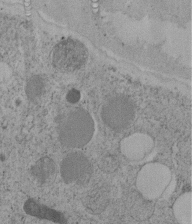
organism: C. elegans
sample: C. elegans embryo early stage